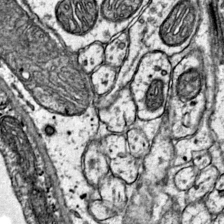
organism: Mouse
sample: Primary visual cortex